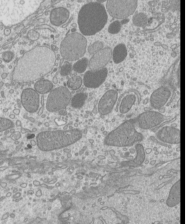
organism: Mouse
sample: Cilia; mouse epididymis